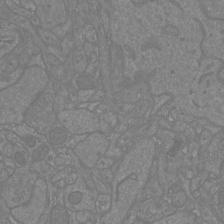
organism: Mouse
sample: Cortical neurons